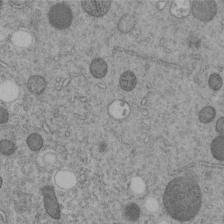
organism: C. elegans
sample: C. elegans embryo early stage